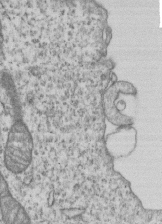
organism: Human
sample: MDA-MB-231 cells